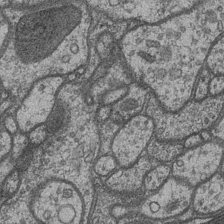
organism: Drosophila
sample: Optic medulla